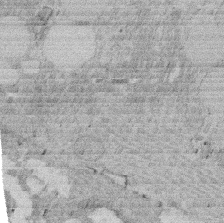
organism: Rat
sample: Salivary granule